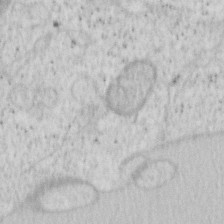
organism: Human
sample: HeLa cells